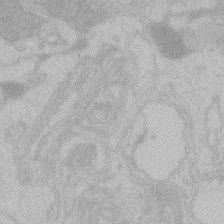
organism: Zebrafish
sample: Macrophage infected with Toxoplasma gondii